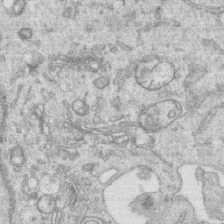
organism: Human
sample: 1205lu cells